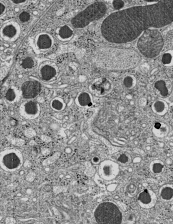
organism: C57BL Mouse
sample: Pancreatic islet